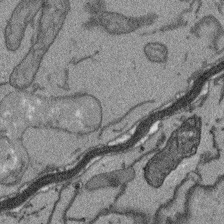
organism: Arabidopsis thaliana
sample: Root tip